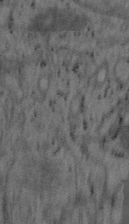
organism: Human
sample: HeLa cells